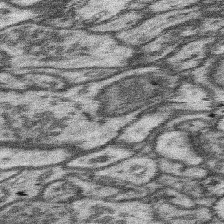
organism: Mouse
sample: Somatosensory cortex neuropil